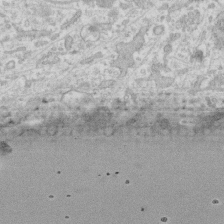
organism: Human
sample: Fibroblast cells